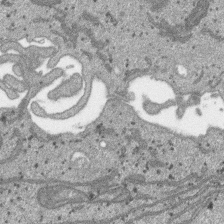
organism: Human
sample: Lung epithelial cells infected with SARS-CoV-2